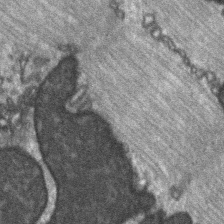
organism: C57BL Mouse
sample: Soleus